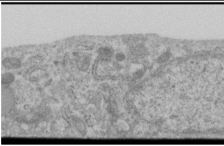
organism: Human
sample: Cilia; basal body in RPE cells